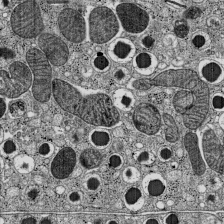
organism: C57BL Mouse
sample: Pancreatic islet